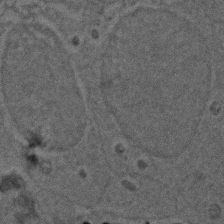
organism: Zebrafish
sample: Zebrafish embryo